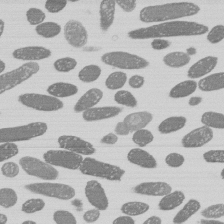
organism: E. coli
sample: Bacterial nucleoid